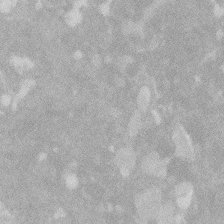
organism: Zebrafish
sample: Macrophage